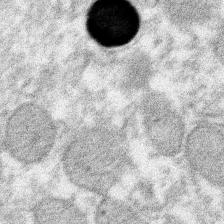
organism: Xenopus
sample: Cilia; centrioles in frog embryo cells